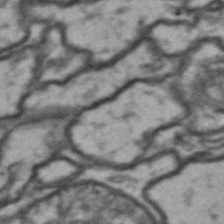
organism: Drosophila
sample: Brain